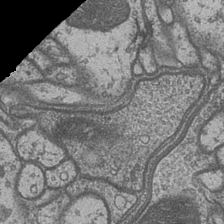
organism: Drosophila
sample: Optic medulla